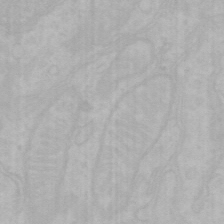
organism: Mouse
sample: Choroid plexus